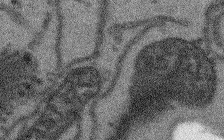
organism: Arabidopsis thaliana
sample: Root tip